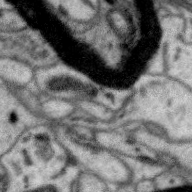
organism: Zebra finch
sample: Brain